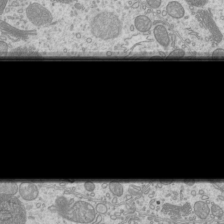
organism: Mouse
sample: Cilia; mouse epididymis